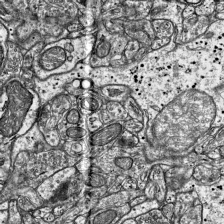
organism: Mouse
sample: Visual Cortex